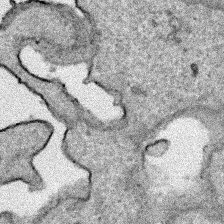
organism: Human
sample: Mitochondria in HCT116 cells